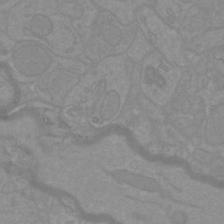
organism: Mouse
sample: Cortical neurons